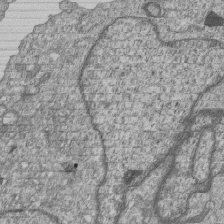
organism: Human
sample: MDA-MB-231 cells